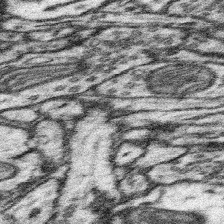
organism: Mouse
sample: Somatosensory cortex neuropil